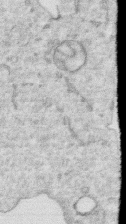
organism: Human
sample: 1205lu cells